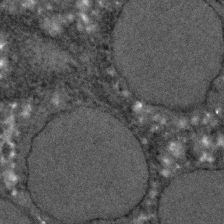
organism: C. elegans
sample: C. elegans embryo